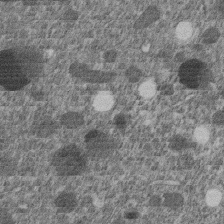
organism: C. elegans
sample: C. elegans embryo early stage